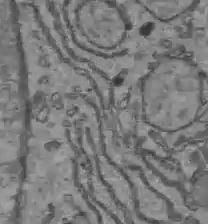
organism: C57BL Mouse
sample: Liver